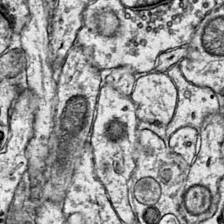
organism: Mouse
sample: Primary visual cortex